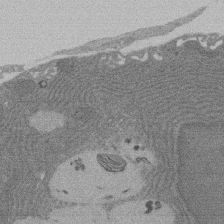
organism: Rat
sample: Salivary granule